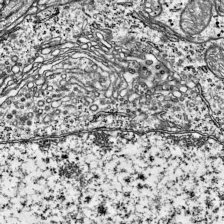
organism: Mouse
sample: Visual Cortex